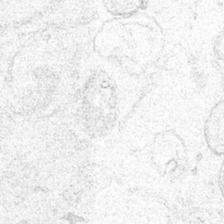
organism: Human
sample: Mitochondria in HCT116 cells